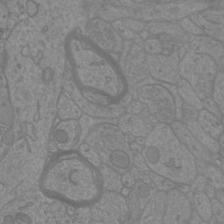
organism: Mouse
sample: Cortical neurons